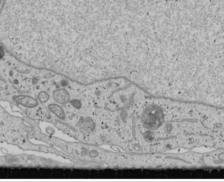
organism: Human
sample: Mitochondria in U2OS cells